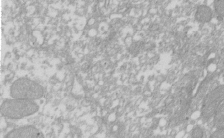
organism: Xenopus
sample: Cilia; centrioles in frog embryo cells